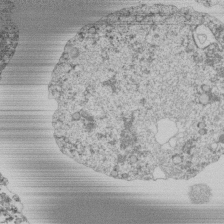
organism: Mouse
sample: Activated Pmel transgenic CD8+ T Cells